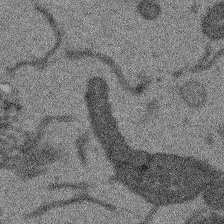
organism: Arabidopsis thaliana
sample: Root tip